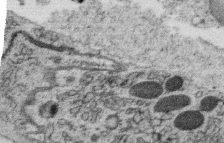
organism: C. elegans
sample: C. elegans oocyte; sperm cells